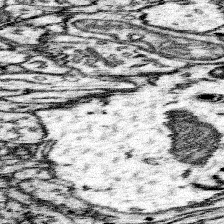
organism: Mouse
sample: Somatosensory cortex neuropil